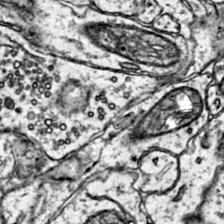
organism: Mouse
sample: Primary visual cortex